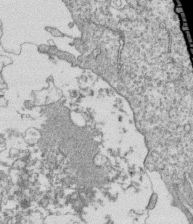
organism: Human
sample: HeLa cell HIV synapse